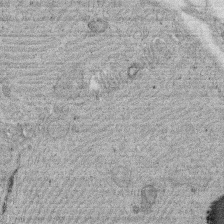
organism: Rat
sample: Salivary granule